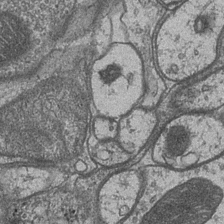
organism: Drosophila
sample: Optic medulla